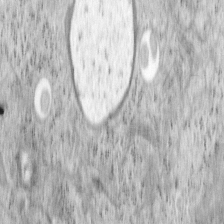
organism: Human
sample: HeLa cells